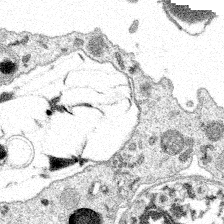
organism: Spongilla lacustris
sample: Multiple